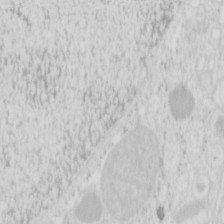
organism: Mouse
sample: Pancreas